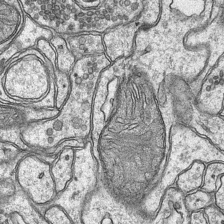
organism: Mouse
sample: CA1 Hippocampus